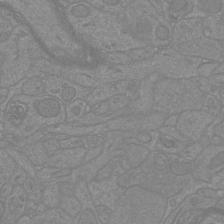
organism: Mouse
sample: Cortical neurons